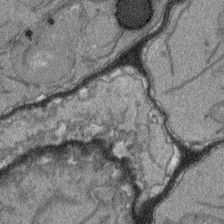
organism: Arabidopsis thaliana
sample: Root tip